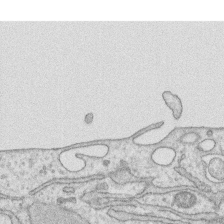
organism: Human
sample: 1205lu cells